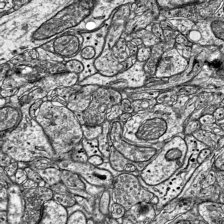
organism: Mouse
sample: Visual Cortex